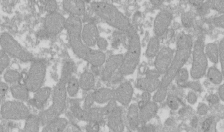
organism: Xenopus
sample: Cilia; centrioles in frog embryo cells